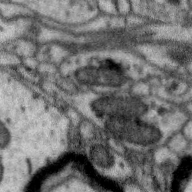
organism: Zebra finch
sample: Brain